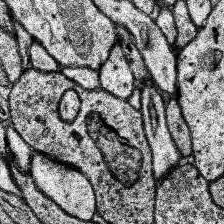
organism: Human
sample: Temporal Lobe